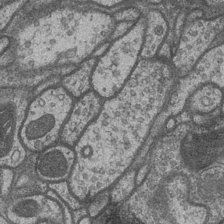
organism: Drosophila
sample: Optic medulla